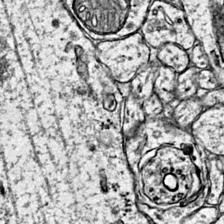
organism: Mouse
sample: Primary visual cortex